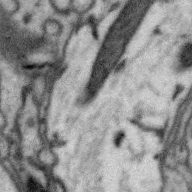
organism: Zebra finch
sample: Brain